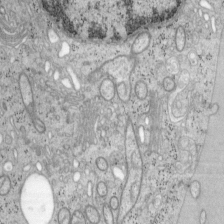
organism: Mouse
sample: OT-I killer T cells with ID8 ovarian cancer cells